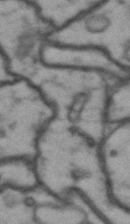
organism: Drosophila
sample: Brain